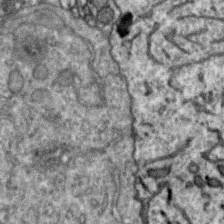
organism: Zebra finch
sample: Brain